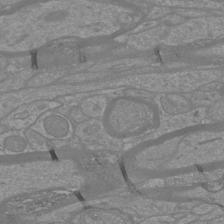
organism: Mouse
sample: Cortical neurons